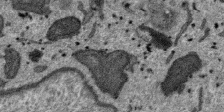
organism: Human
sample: Lung epithelial cells, uninfected (mock) control